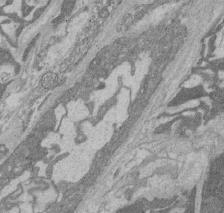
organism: Rat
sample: Salivary granule